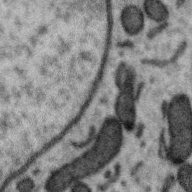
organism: Zebra finch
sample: Brain